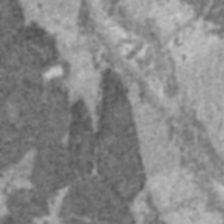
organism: C57BL Mouse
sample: Heart